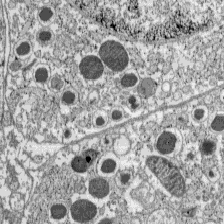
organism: C57BL Mouse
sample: Pancreatic islet